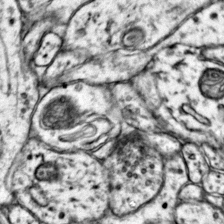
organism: Mouse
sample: Primary visual cortex